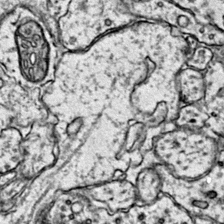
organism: Mouse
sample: Primary visual cortex